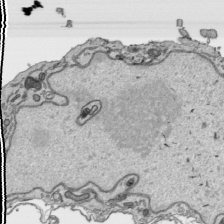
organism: Human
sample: Mitochondria in HCT116 cells